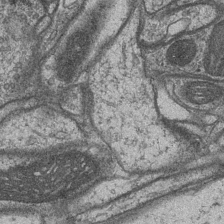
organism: Drosophila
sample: Optic medulla